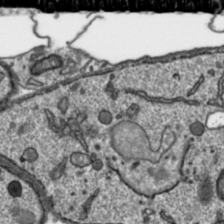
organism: Toxoplasma gondii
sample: Parasites in a vacuole inside a host cell